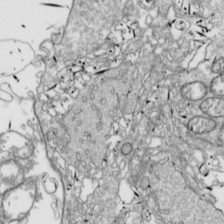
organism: Drosophila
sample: Cell division; meiosis; drosophila spermatocytes